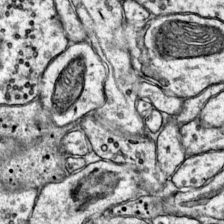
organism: Mouse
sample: Primary visual cortex